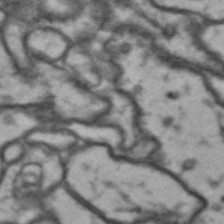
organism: Drosophila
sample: Brain